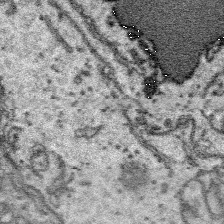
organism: Platynereis dumerilii